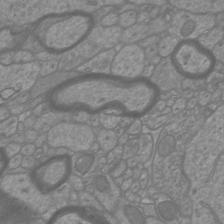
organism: Mouse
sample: Cortical neurons